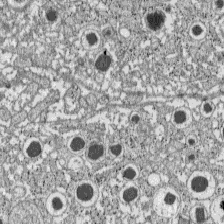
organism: C57BL Mouse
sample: Pancreatic islet